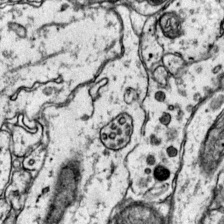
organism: Mouse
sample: Primary visual cortex